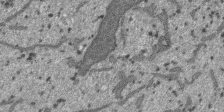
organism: Human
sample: Lung epithelial cells infected with SARS-CoV-2